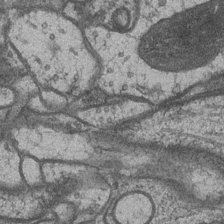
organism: Drosophila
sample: Optic medulla